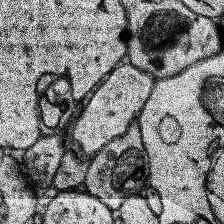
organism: Human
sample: Temporal Lobe